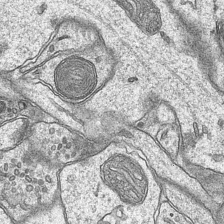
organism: Mouse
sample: CA1 Hippocampus